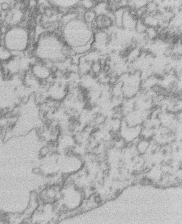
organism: Mouse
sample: T cell stromal cell synapse